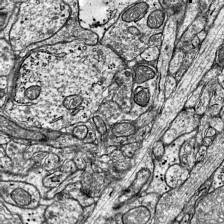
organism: Mouse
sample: Visual Cortex